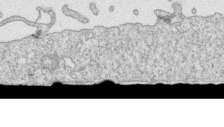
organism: Human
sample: HeLa cell HIV synapse